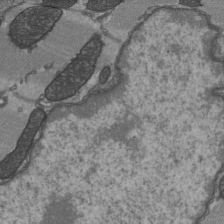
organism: C57BL Mouse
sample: Heart